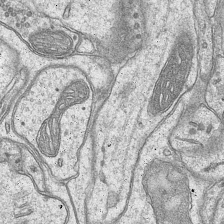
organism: Mouse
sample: CA1 Hippocampus